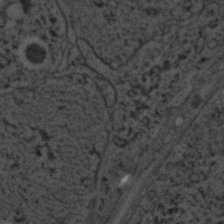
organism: C. elegans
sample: C. elegans embryo